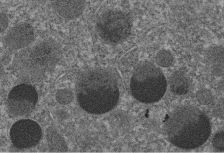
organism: C. elegans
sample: C. elegans embryo early stage